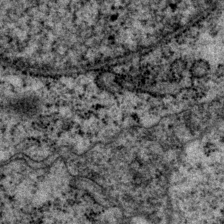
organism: P. pacificus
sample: Pharynx